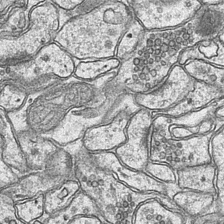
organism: Mouse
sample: CA1 Hippocampus